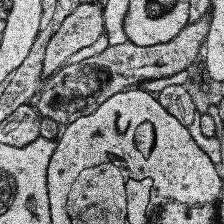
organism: Human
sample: Temporal Lobe